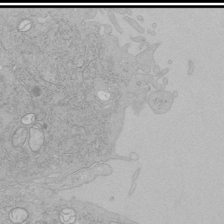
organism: Human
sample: Mitochondria in HCT116 cells